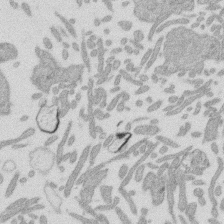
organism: Mouse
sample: Dividing mouse embryo 1 cell stage